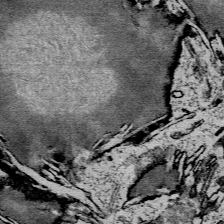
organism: Mouse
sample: Mouse Salivary gland